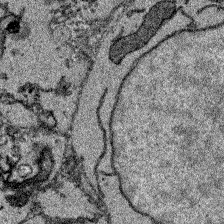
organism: Zebrafish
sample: Larval olfactory bulb